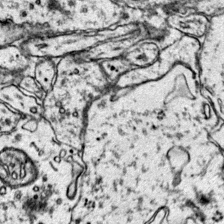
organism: Mouse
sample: Primary visual cortex